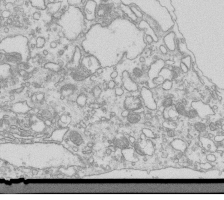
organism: Mouse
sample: Macrophages